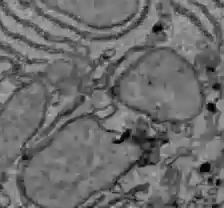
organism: C57BL Mouse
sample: Liver